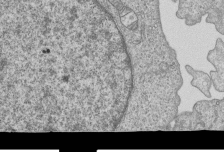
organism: Human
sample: MDA-MB-231 cells